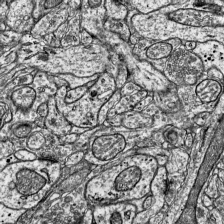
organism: Mouse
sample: Visual Cortex